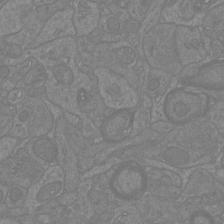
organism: Mouse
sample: Cortical neurons